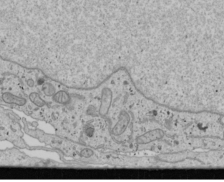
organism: Human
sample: Mitochondria in U2OS cells